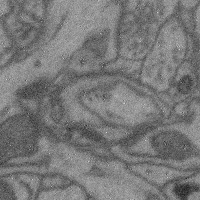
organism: Mouse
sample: Cerebral cortex